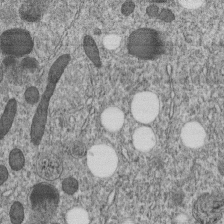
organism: C. elegans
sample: C. elegans embryo early stage